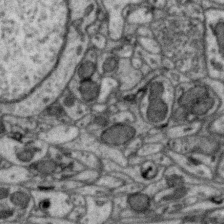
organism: Zebra finch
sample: Brain